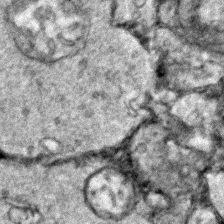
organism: Zebrafish